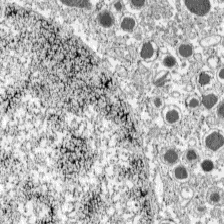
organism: C57BL Mouse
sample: Pancreatic islet